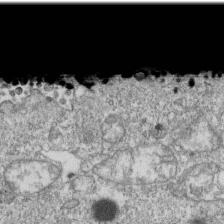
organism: Human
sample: HeLa cell HIV synapse